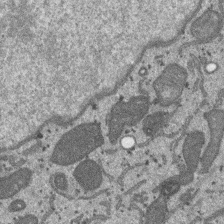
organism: Human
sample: Lung epithelial cells infected with SARS-CoV-2